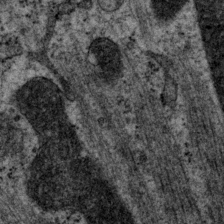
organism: P. pacificus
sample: Pharynx